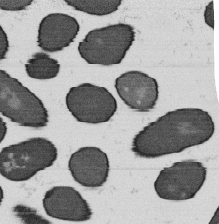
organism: B. subtilis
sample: Bacterial spore